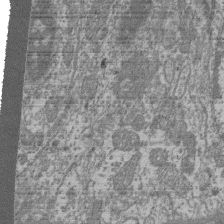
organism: Mouse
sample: Glomerulus